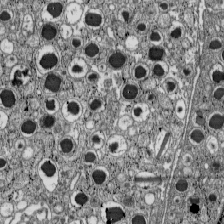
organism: C57BL Mouse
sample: Pancreatic islet